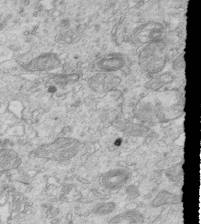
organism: Mouse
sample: Multiciliated cells